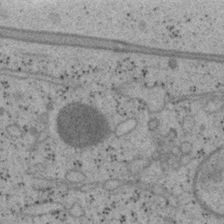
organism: Human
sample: HeLa cells